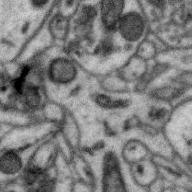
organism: Zebra finch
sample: Brain